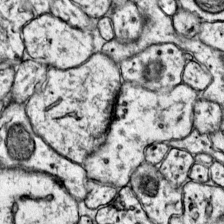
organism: Mouse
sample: Primary visual cortex